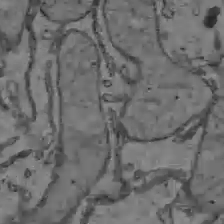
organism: C57BL Mouse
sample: Liver